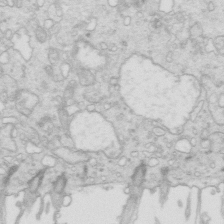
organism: Mouse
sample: Multiciliated cells